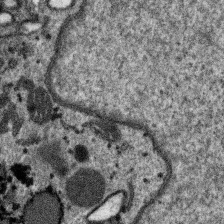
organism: Human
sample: Lung epithelial cells infected with SARS-CoV-2